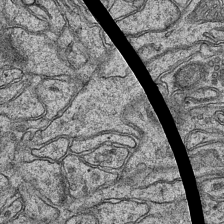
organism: Mouse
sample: CA1 Hippocampus